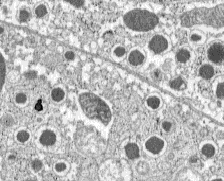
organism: C57BL Mouse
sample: Pancreatic islet